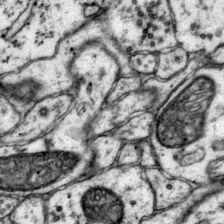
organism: Mouse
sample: Primary visual cortex